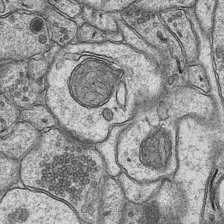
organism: Mouse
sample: CA1 Hippocampus